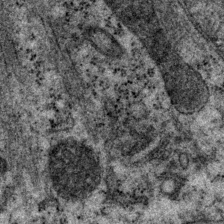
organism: P. pacificus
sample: Pharynx